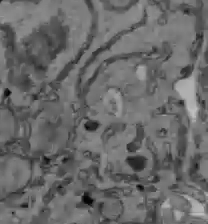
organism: C57BL Mouse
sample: Liver